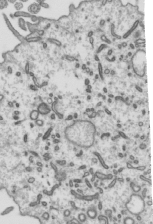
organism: Mouse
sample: Mouse epididymis efferent ductule cilia